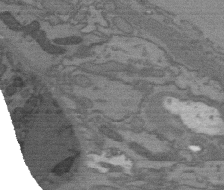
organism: C. elegans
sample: AFD neurons C. elegans